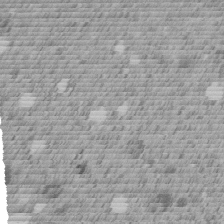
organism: C. elegans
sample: C. elegans embryo early stage